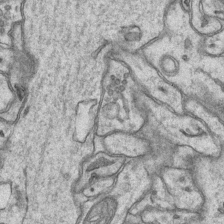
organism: Mouse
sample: CA1 Hippocampus